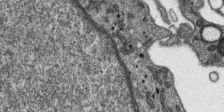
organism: Human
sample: Lung epithelial cells infected with SARS-CoV-2